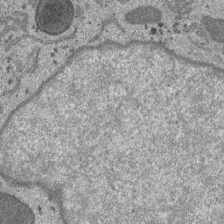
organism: Human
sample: Lung epithelial cells infected with SARS-CoV-2